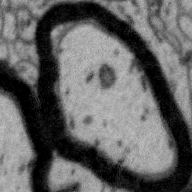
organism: Zebra finch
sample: Brain